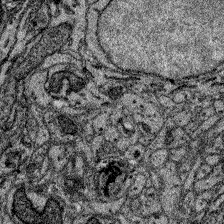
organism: Zebrafish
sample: Larval olfactory bulb